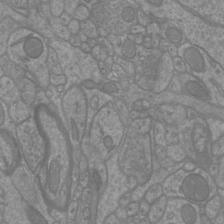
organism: Mouse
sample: Cortical neurons